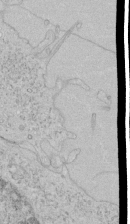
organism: Human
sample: Mitochondria in HCT116 cells